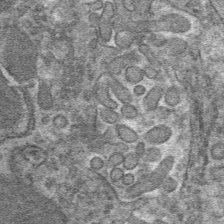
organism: Mouse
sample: Mouse hepatocytes